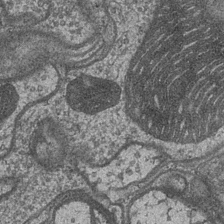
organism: Drosophila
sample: Optic medulla